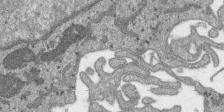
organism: Human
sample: Lung epithelial cells infected with SARS-CoV-2